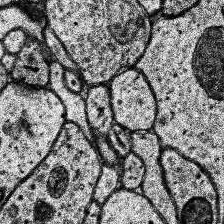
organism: Human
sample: Temporal Lobe